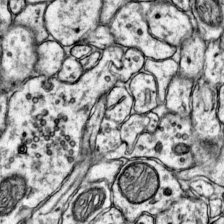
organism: Mouse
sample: Primary visual cortex